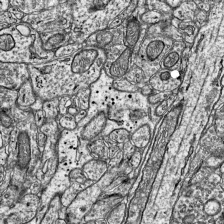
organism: Mouse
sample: Visual Cortex